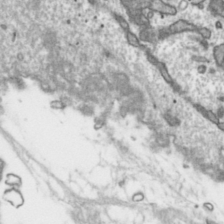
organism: Toxoplasma gondii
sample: Parasites in a vacuole inside a host cell